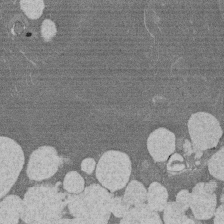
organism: Rat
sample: Salivary granule